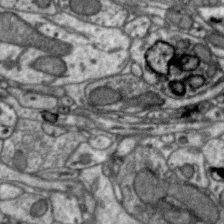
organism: Zebra finch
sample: Brain